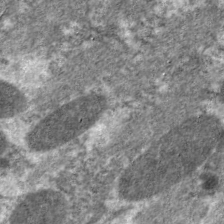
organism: C. elegans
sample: Pharynx